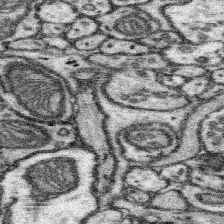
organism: Mouse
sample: Somatosensory cortex neuropil